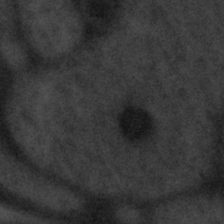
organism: Tuwongella immobilis